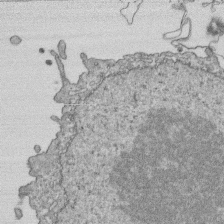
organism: Human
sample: HeLa cell HIV synapse